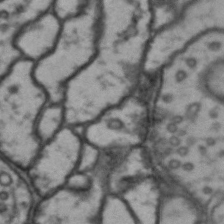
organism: Drosophila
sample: Brain